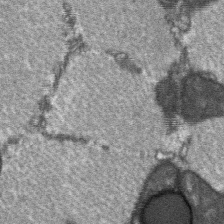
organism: C57BL Mouse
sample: Soleus